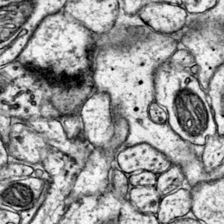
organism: Mouse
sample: Primary visual cortex